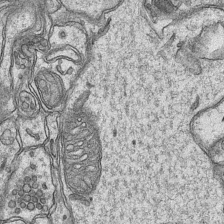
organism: Mouse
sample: CA1 Hippocampus